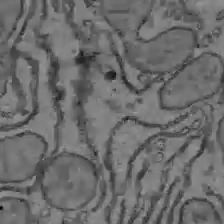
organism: C57BL Mouse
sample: Liver